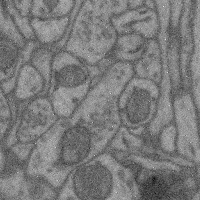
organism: Mouse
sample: Cerebral cortex